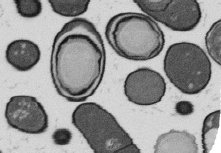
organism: B. subtilis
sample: Bacterial spore